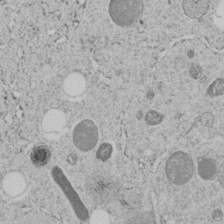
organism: C. elegans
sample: C. elegans embryo early stage